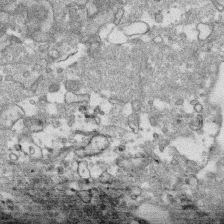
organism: Human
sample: CRL-1474